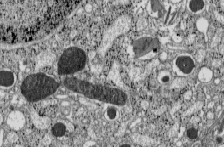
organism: C57BL Mouse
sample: Pancreatic islet